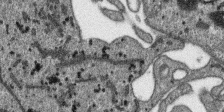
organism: Human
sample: Lung epithelial cells infected with SARS-CoV-2